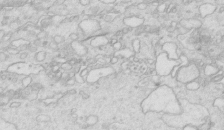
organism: Mouse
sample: Multiciliated cells